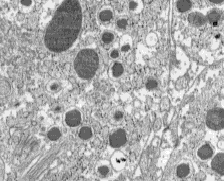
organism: C57BL Mouse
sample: Pancreatic islet